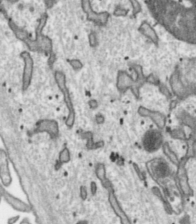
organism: Toxoplasma gondii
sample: Parasites in a vacuole inside a host cell